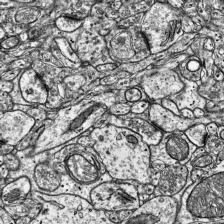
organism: Mouse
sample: Visual Cortex